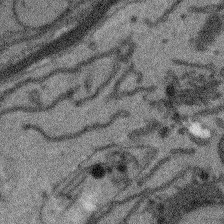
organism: Arabidopsis thaliana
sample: Root tip